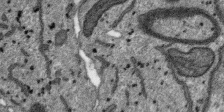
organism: Human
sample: Lung epithelial cells, uninfected (mock) control